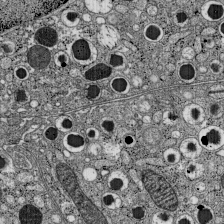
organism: C57BL Mouse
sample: Pancreatic islet